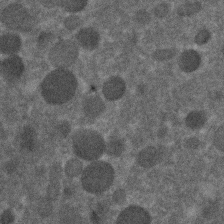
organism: C. elegans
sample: C. elegans embryo